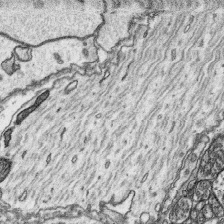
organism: Platynereis dumerilii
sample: Parapodia